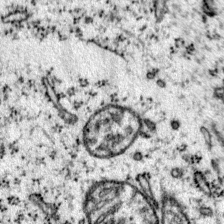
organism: Mouse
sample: Primary visual cortex